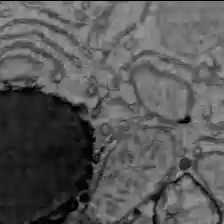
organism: C57BL Mouse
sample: Liver